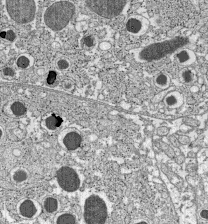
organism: C57BL Mouse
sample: Pancreatic islet